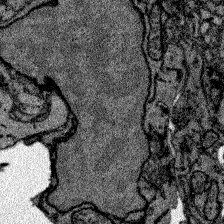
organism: Zebrafish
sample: Larval olfactory bulb